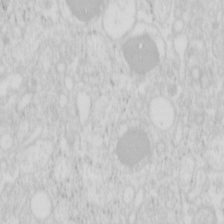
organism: Mouse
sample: Pancreas